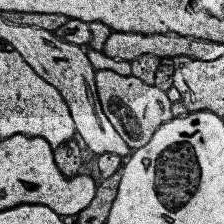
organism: Human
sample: Temporal Lobe